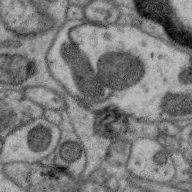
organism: Zebra finch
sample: Brain